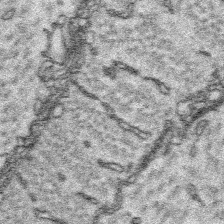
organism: Platynereis dumerilii